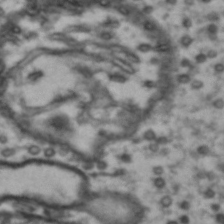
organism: Drosophila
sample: Brain